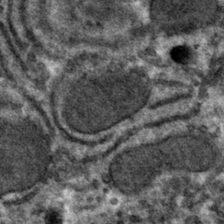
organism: Mouse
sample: Mouse hepatocytes